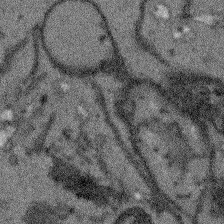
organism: Arabidopsis thaliana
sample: Root tip